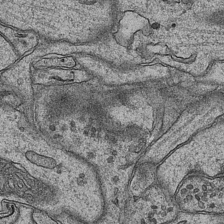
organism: Mouse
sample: CA1 Hippocampus